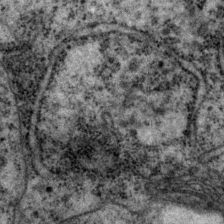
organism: P. pacificus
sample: Pharynx